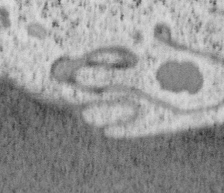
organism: Mouse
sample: OT-I killer T cells with ID8 ovarian cancer cells